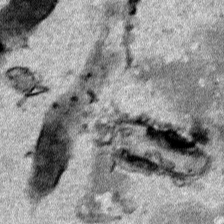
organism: Human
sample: Mitochondria in HCT116 cells